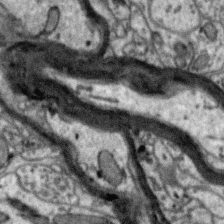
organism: Zebra finch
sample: Brain